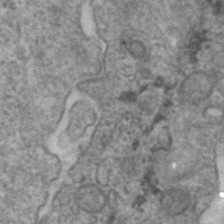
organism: Human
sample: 1205lu cells